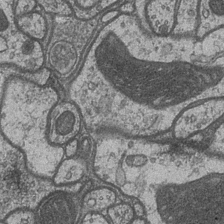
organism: Drosophila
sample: Optic medulla